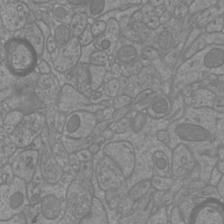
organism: Mouse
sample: Cortical neurons